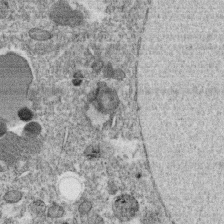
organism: C. elegans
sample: C. elegans oocyte; sperm cells